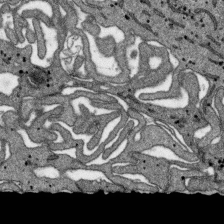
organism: Human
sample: Lung epithelial cells, uninfected (mock) control